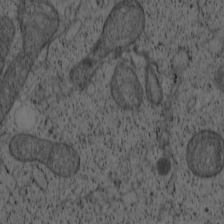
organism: African green monkey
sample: COS-7 cells